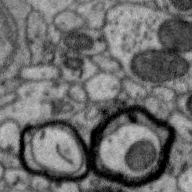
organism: Zebra finch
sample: Brain